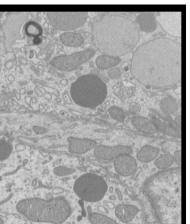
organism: Mouse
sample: Cilia; mouse epididymis